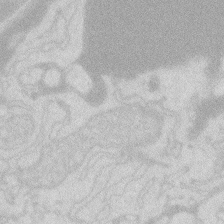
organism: Zebrafish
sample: Macrophage